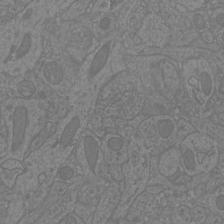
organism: Mouse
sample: Cortical neurons